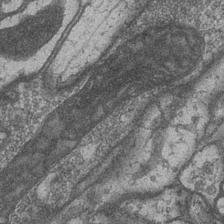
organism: Drosophila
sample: Optic medulla